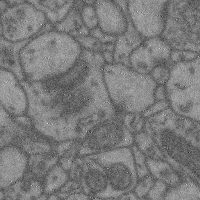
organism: Mouse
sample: Cerebral cortex